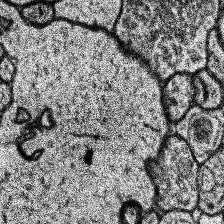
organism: Human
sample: Temporal Lobe